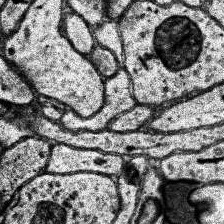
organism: Human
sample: Temporal Lobe